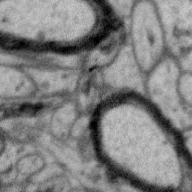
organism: Zebra finch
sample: Brain